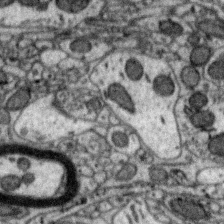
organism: Zebra finch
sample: Brain